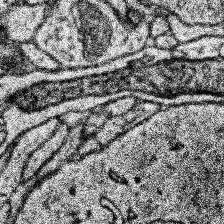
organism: Human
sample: Temporal Lobe